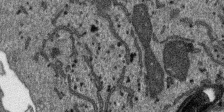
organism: Human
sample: Lung epithelial cells infected with SARS-CoV-2